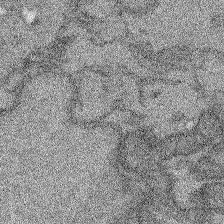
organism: Human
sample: HeLa cells